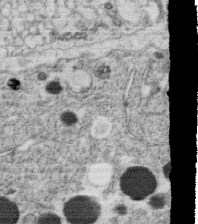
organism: C. elegans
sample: C. elegans oocyte; sperm cells